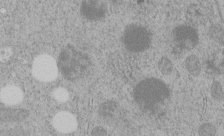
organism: C. elegans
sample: C. elegans embryo early stage